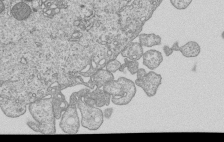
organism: Human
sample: MDA-MB-231 cells